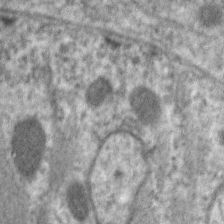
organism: C. elegans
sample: Pharynx